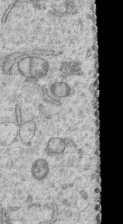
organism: Human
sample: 1205lu cells